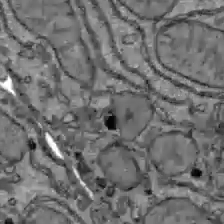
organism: C57BL Mouse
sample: Liver